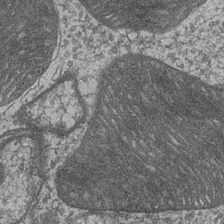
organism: Drosophila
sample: Optic medulla